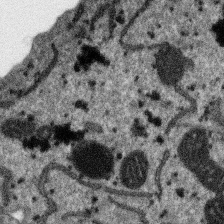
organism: Human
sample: Lung epithelial cells infected with SARS-CoV-2